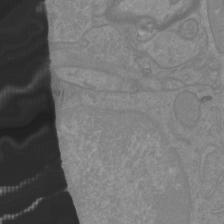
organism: Mouse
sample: Cortical neurons